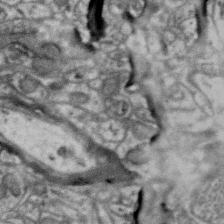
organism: Zebra finch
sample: Brain